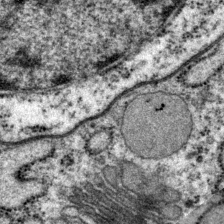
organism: P. pacificus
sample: Pharynx